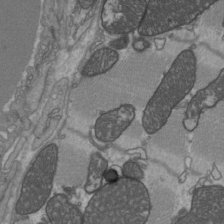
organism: C57BL Mouse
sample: Heart